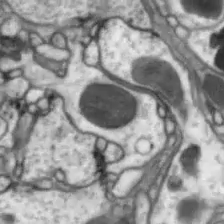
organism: Drosophila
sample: Optic lobe